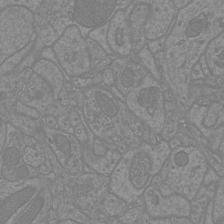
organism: Mouse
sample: Cortical neurons